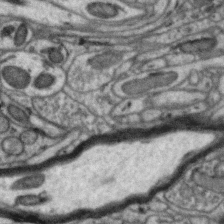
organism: Zebra finch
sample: Brain